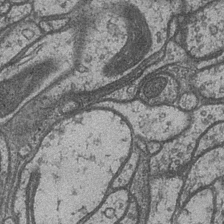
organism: Drosophila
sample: Optic medulla